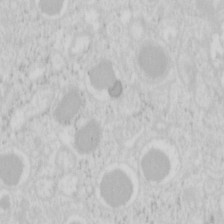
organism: Mouse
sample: Pancreas